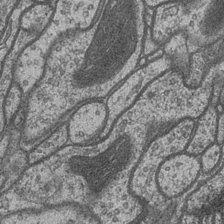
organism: Drosophila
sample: Optic medulla